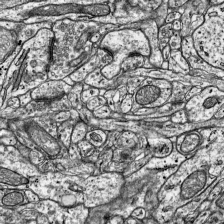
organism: Mouse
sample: Visual Cortex